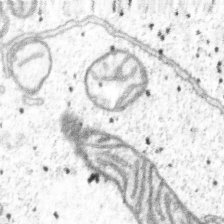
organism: Human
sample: HeLa cells